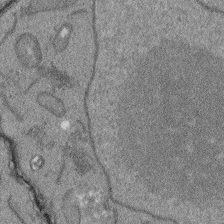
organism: Arabidopsis thaliana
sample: Root tip